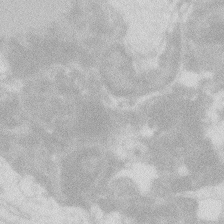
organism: Zebrafish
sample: Macrophage